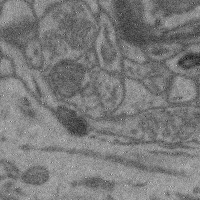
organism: Mouse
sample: Cerebral cortex